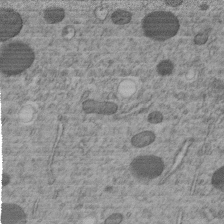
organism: C. elegans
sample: C. elegans embryo early stage